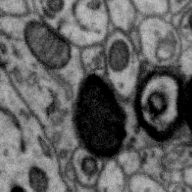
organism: Zebra finch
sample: Brain